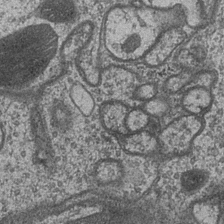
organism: Drosophila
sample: Optic medulla